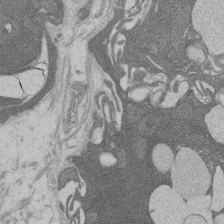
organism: Rat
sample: Salivary granule